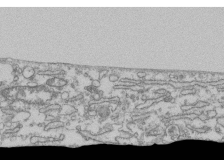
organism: Human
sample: Fibroblast cells